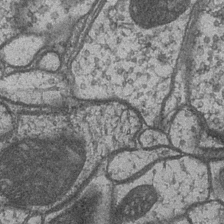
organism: Drosophila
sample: Optic medulla